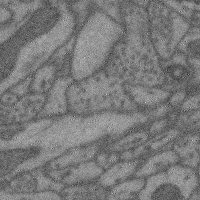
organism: Mouse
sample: Cerebral cortex